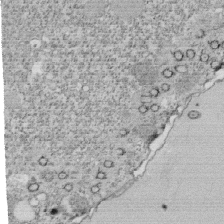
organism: Tetrahymena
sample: Cilia in tetrahymena